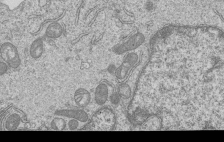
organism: Human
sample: MDA-MB-231 cells